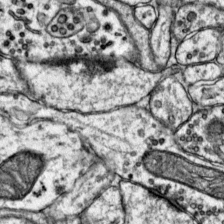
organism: Mouse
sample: Primary visual cortex